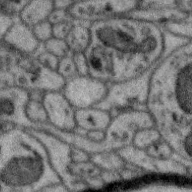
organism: Zebra finch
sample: Brain